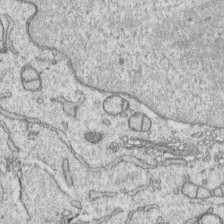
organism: Human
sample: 1205lu cells